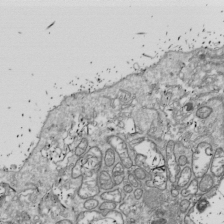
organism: Drosophila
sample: Cell division; meiosis; drosophila spermatocytes